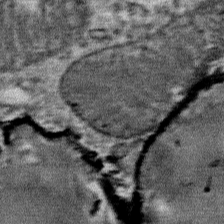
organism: Mouse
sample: Mouse Salivary gland